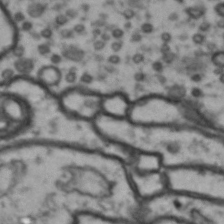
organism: Drosophila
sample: Brain